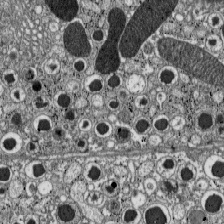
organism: C57BL Mouse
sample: Pancreatic islet